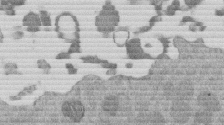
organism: Mouse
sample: Dividing mouse embryo 1 cell stage